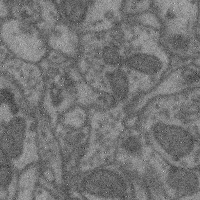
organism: Mouse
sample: Cerebral cortex